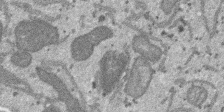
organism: Human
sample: Lung epithelial cells infected with SARS-CoV-2